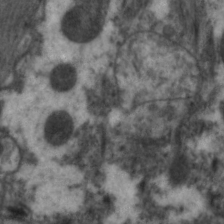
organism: C. elegans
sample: Pharynx